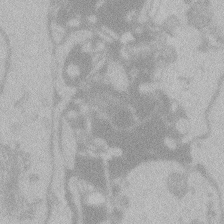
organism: Zebrafish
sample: Macrophage infected with Toxoplasma gondii